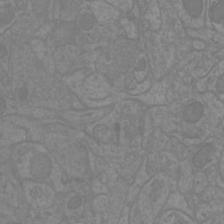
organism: Mouse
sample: Cortical neurons